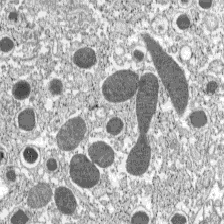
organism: C57BL Mouse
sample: Pancreatic islet